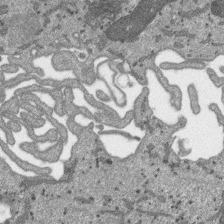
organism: Human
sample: Lung epithelial cells infected with SARS-CoV-2